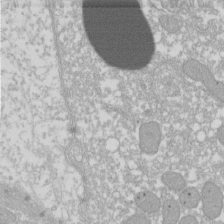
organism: Xenopus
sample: Cilia; centrioles in frog embryo cells